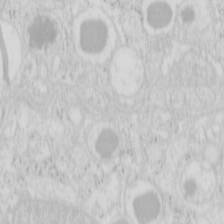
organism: Mouse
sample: Pancreas